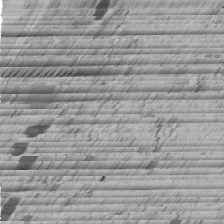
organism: C. elegans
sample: C. elegans embryo early stage